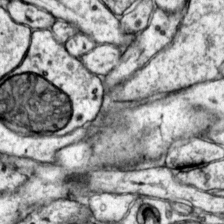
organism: Mouse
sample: Primary visual cortex